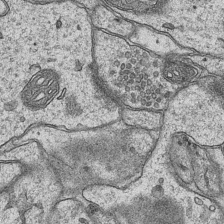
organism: Mouse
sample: CA1 Hippocampus